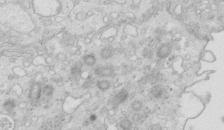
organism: Mouse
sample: Multiciliated cells